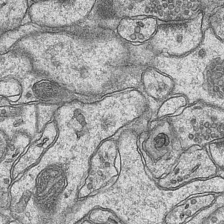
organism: Mouse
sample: CA1 Hippocampus